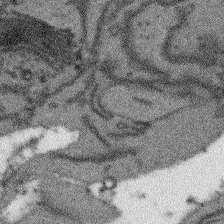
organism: Arabidopsis thaliana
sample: Root tip